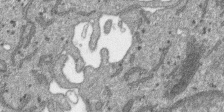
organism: Human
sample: Lung epithelial cells infected with SARS-CoV-2